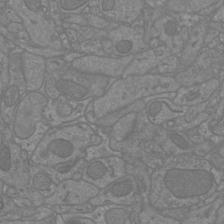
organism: Mouse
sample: Cortical neurons